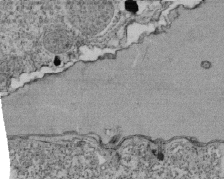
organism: Tetrahymena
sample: Cilia in tetrahymena